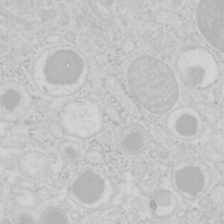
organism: Mouse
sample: Pancreas